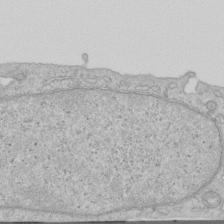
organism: Human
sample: Centriole in RPE cells